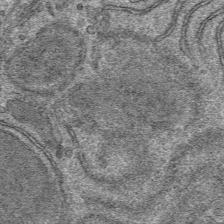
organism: Mouse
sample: Mouse hepatocytes